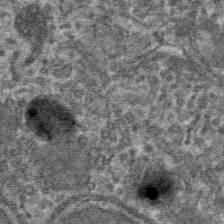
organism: Mouse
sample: Mouse hepatocytes